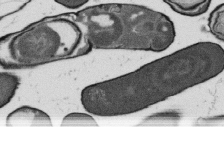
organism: B. subtilis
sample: Bacterial spore